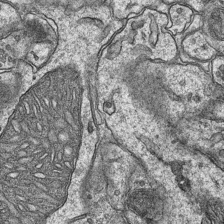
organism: Mouse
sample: CA1 Hippocampus